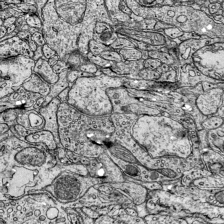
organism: Mouse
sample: Visual Cortex